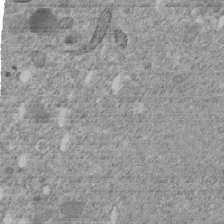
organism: C. elegans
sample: C. elegans embryo early stage